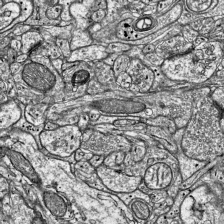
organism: Mouse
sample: Visual Cortex